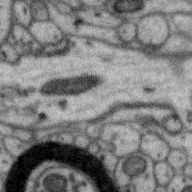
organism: Zebra finch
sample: Brain